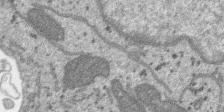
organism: Human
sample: Lung epithelial cells infected with SARS-CoV-2